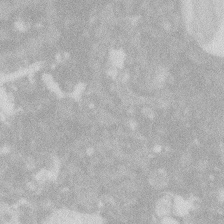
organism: Zebrafish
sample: Macrophage